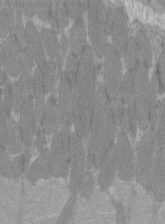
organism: C57BL Mouse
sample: Tibialis anterior muscle cell